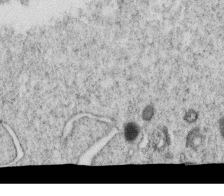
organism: C. elegans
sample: C. elegans oocyte; sperm cells